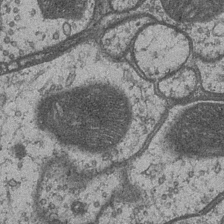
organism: Drosophila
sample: Optic medulla